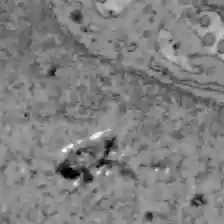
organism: C57BL Mouse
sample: Liver